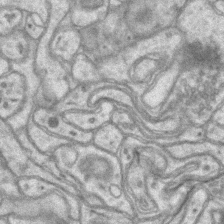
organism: Mouse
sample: CA1 Hippocampus